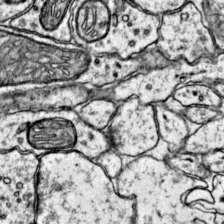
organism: Mouse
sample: Primary visual cortex